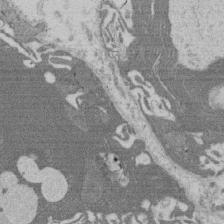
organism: Rat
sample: Salivary granule